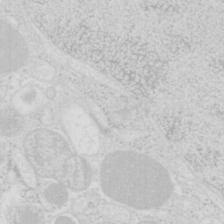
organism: Mouse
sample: Pancreas